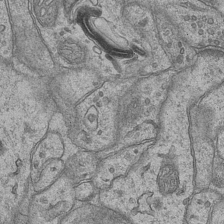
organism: Mouse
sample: CA1 Hippocampus